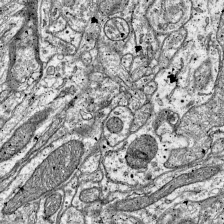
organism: Mouse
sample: Visual Cortex